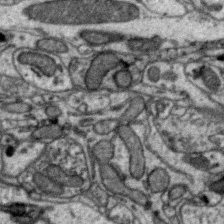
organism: Zebra finch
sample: Brain